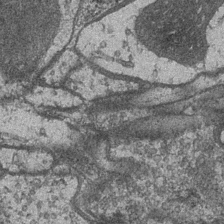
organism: Drosophila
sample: Optic medulla